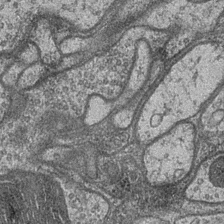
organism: Drosophila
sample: Optic medulla